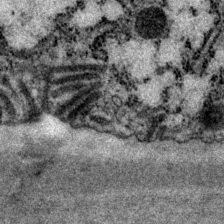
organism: P. pacificus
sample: Pharynx